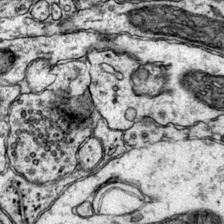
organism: Mouse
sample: Primary visual cortex